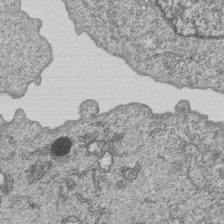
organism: Human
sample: MDA-MB-231 cells